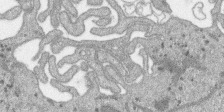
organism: Human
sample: Lung epithelial cells infected with SARS-CoV-2